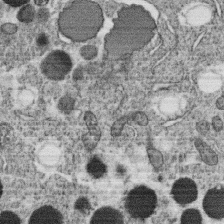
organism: C. elegans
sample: C. elegans oocyte; sperm cells